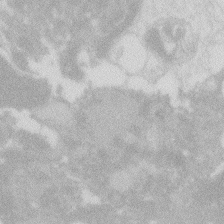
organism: Zebrafish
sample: Macrophage